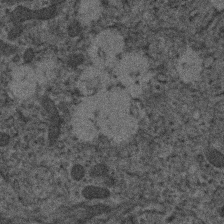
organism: Human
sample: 1205lu cells